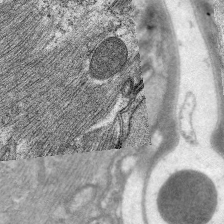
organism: C. elegans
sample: Pharynx